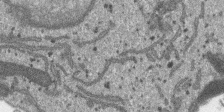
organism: Human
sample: Lung epithelial cells infected with SARS-CoV-2